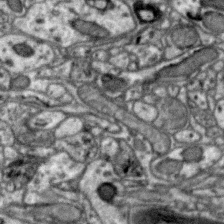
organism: Zebra finch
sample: Brain